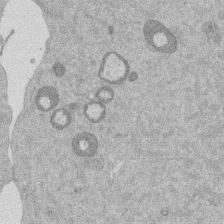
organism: Mouse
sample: Dividing mouse embryo 1 cell stage